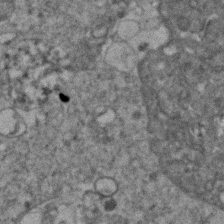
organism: Human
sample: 1205lu cells